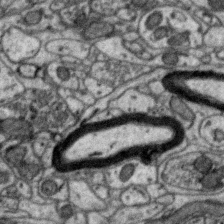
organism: Zebra finch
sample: Brain